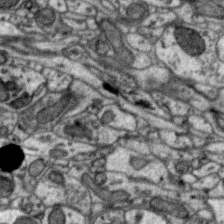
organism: Zebra finch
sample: Brain